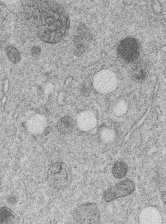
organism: C. elegans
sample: C. elegans embryo early stage